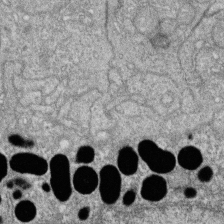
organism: Zebrafish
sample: Cilia; retinal pigment epithelium